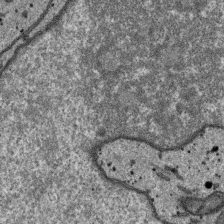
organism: Human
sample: Lung epithelial cells, uninfected (mock) control